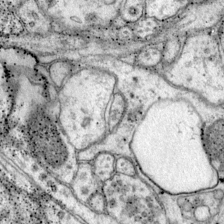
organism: Mouse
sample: Primary visual cortex